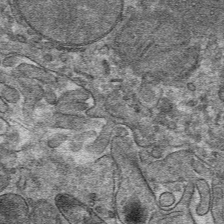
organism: Mouse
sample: Mouse hepatocytes